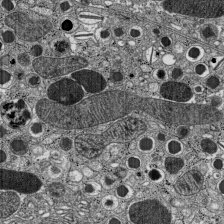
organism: C57BL Mouse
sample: Pancreatic islet